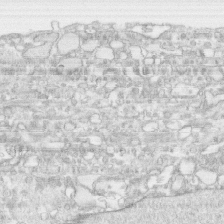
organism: Human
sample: CRL-1474